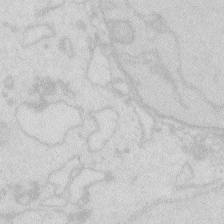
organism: Zebrafish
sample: Macrophage